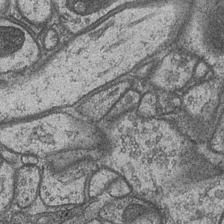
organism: Drosophila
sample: Optic medulla